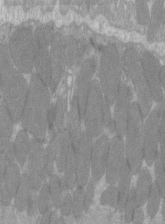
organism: C57BL Mouse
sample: Tibialis anterior muscle cell